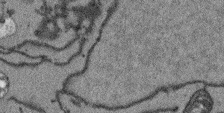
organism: Arabidopsis thaliana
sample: Root tip